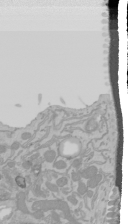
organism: Mouse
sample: Cancer cell death in ED-1 cells